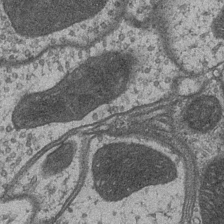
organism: Drosophila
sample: Optic medulla